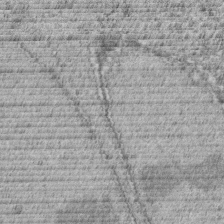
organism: C. elegans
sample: C. elegans embryo early stage